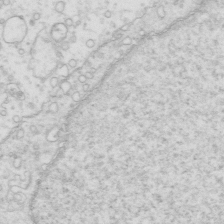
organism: Mouse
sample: Multiciliated cells